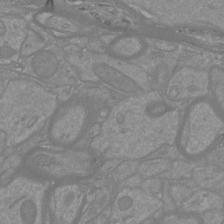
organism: Mouse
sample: Cortical neurons